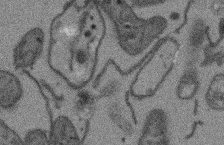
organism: Arabidopsis thaliana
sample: Root tip